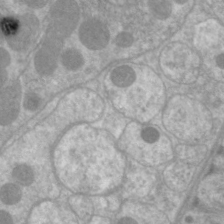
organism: C. elegans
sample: Pharynx